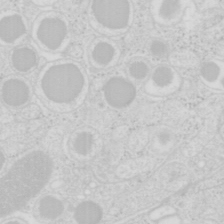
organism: Mouse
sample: Pancreas